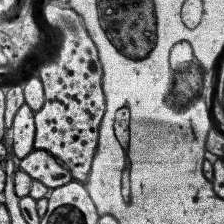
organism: Human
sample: Temporal Lobe